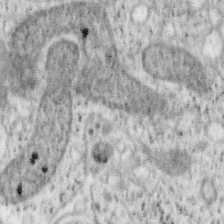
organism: Mouse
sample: OT-I killer T cells with ID8 ovarian cancer cells